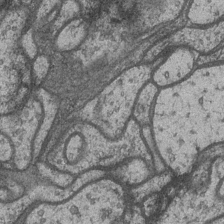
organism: Drosophila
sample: Optic medulla